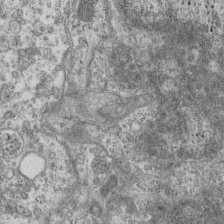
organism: Mouse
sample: Centriole in ependymal cells